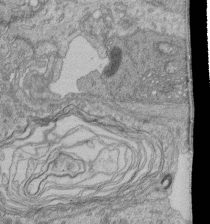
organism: Human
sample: Retinal organoid Rod and Cone cells